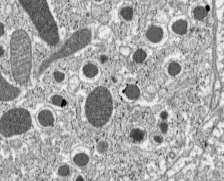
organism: C57BL Mouse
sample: Pancreatic islet